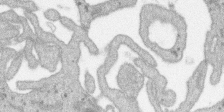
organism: Human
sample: Lung epithelial cells infected with SARS-CoV-2